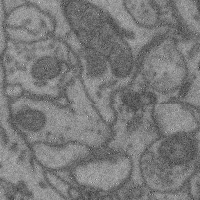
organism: Mouse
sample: Cerebral cortex